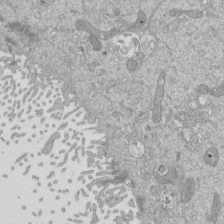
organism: Mouse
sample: ED-1 cell nuclei; centrioles